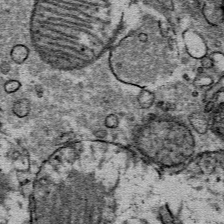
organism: Mouse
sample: Mouse Salivary gland